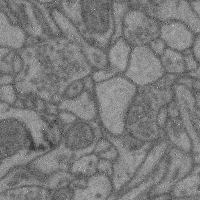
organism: Mouse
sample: Cerebral cortex